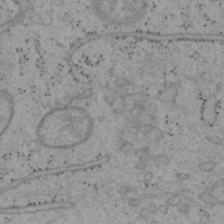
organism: Human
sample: HeLa cells